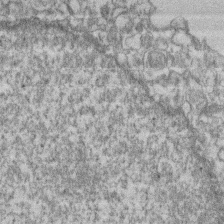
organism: Mouse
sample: T cell stromal cell synapse